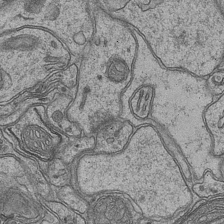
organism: Mouse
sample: CA1 Hippocampus